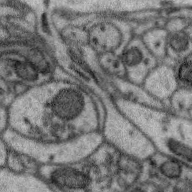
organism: Zebra finch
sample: Brain